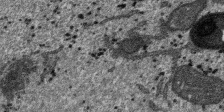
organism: Human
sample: Lung epithelial cells infected with SARS-CoV-2